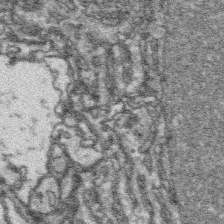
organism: Platynereis dumerilii